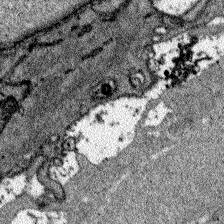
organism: Zebrafish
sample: Larval olfactory bulb